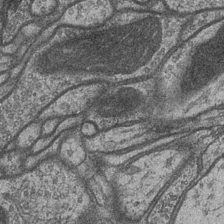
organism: Drosophila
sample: Optic medulla